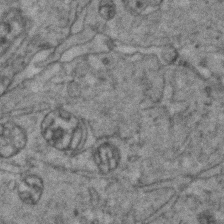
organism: Zebrafish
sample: Zebrafish embryo